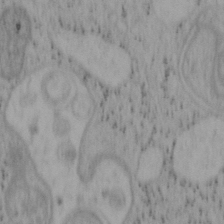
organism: Mouse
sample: OT-I killer T cells with ID8 ovarian cancer cells